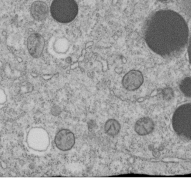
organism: C. elegans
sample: C. elegans embryo early stage